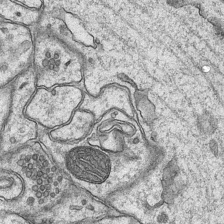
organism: Mouse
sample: CA1 Hippocampus